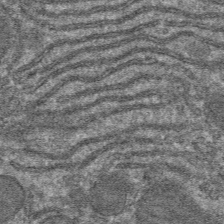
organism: Mouse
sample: Mouse hepatocytes